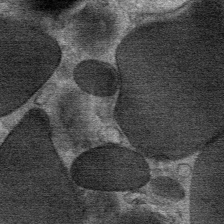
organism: Mouse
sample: Mouse Salivary gland